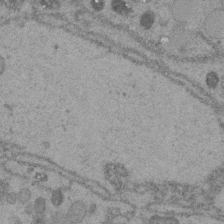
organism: C. elegans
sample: C. elegans embryo early stage